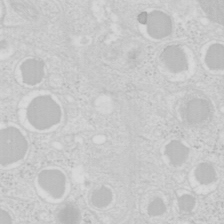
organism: Mouse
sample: Pancreas